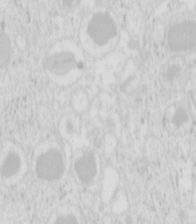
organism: Mouse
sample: Pancreas